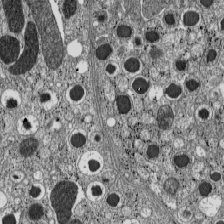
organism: C57BL Mouse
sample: Pancreatic islet